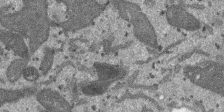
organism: Human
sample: Lung epithelial cells infected with SARS-CoV-2